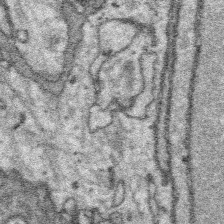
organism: Platynereis dumerilii